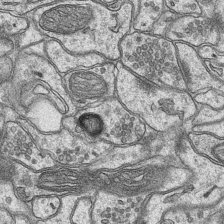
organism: Mouse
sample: CA1 Hippocampus